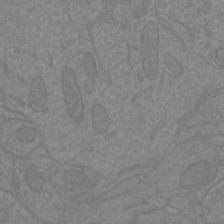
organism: Mouse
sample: Cortical neurons